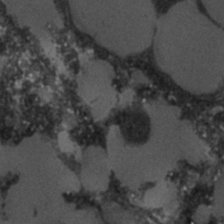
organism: C. elegans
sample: C. elegans embryo